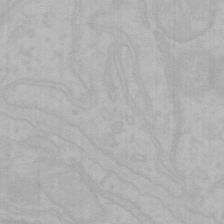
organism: Mouse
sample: Choroid plexus